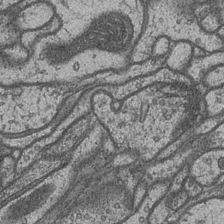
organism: Drosophila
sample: Optic medulla